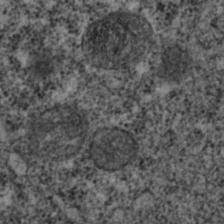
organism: C. elegans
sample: C. elegans embryo